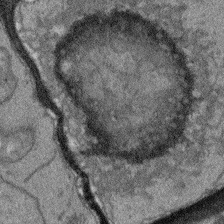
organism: Arabidopsis thaliana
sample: Root tip